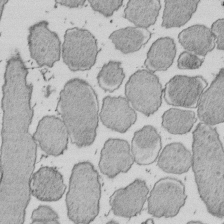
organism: E. coli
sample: Bacterial nucleoid